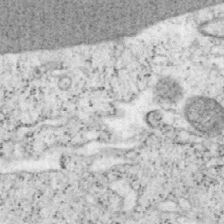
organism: Mouse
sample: OT-I killer T cells with ID8 ovarian cancer cells